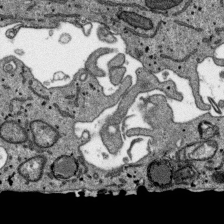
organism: Human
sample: Lung epithelial cells, uninfected (mock) control